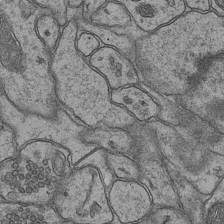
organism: Mouse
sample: CA1 Hippocampus